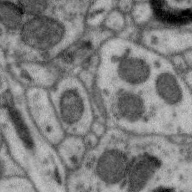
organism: Zebra finch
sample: Brain